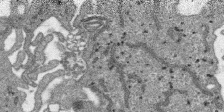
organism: Human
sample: Lung epithelial cells infected with SARS-CoV-2